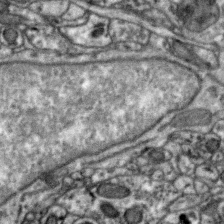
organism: Zebra finch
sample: Brain